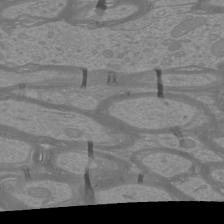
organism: Mouse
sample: Cortical neurons